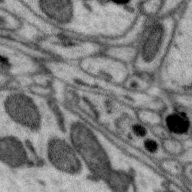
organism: Zebra finch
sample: Brain